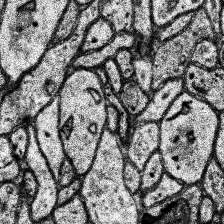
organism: Human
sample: Temporal Lobe